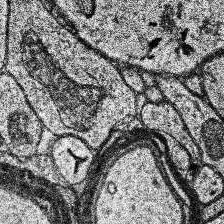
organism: Human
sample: Temporal Lobe